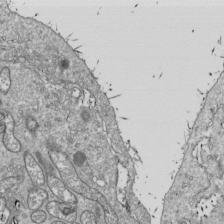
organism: Drosophila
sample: Cell division; meiosis; drosophila spermatocytes